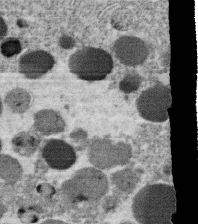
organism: C. elegans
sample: C. elegans oocyte; sperm cells